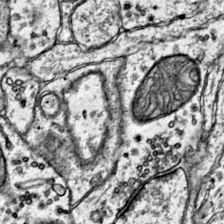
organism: Mouse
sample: Primary visual cortex